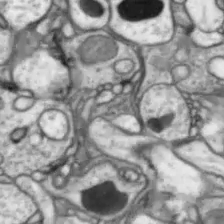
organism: Drosophila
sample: Optic lobe